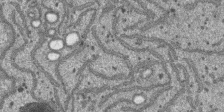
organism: Human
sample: Lung epithelial cells infected with SARS-CoV-2